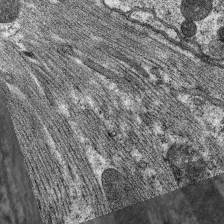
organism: C. elegans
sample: Pharynx